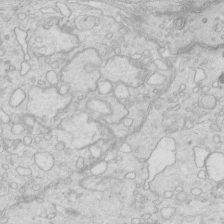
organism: Mouse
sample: Multiciliated cells